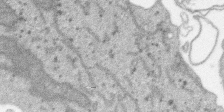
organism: Human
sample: Lung epithelial cells infected with SARS-CoV-2